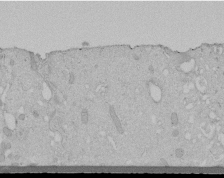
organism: Human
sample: Melanocyte Keratinocyte synapse skin construct